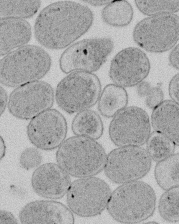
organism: E. coli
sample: Bacterial nucleoid